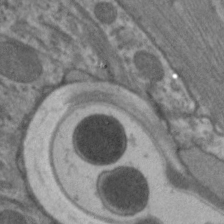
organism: C. elegans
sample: Pharynx